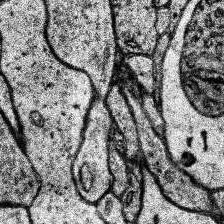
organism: Human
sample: Temporal Lobe